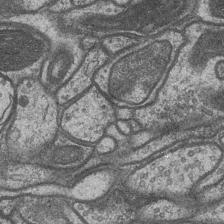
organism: Drosophila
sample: Optic medulla